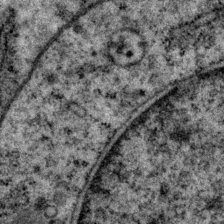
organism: P. pacificus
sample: Pharynx